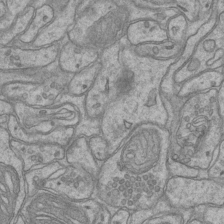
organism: Mouse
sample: CA1 Hippocampus